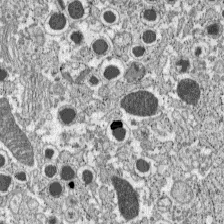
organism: C57BL Mouse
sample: Pancreatic islet